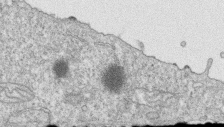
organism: Human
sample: HeLa cell HIV synapse